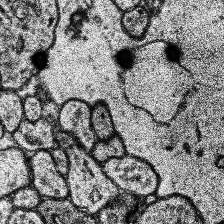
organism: Human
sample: Temporal Lobe